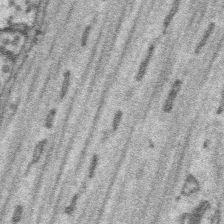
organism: Platynereis dumerilii